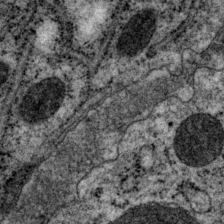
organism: P. pacificus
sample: Pharynx